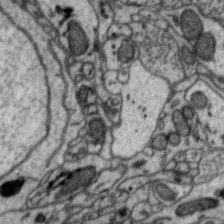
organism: Zebra finch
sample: Brain